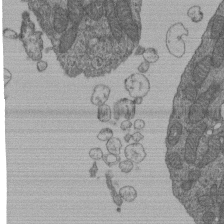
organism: Human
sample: Retinal organoid Rod and Cone cells